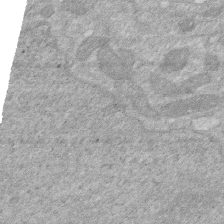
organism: Human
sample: HIV infected U937 cells